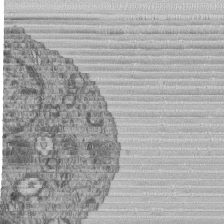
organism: Human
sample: MDA-MB-231 cells